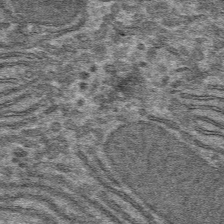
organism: Mouse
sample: Mouse hepatocytes